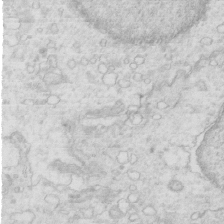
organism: Mouse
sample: Multiciliated cells